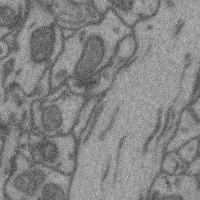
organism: Mouse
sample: Cerebral cortex